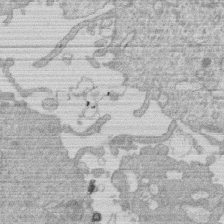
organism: Human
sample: Macrophage cells